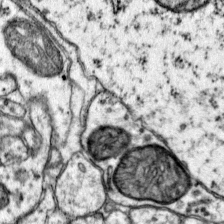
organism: Mouse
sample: Primary visual cortex